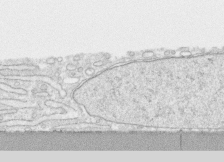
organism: Human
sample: CRL-1474